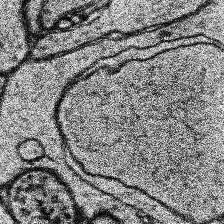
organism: Human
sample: Temporal Lobe